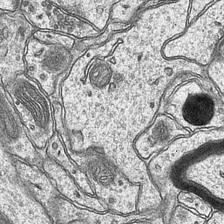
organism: Mouse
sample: CA1 Hippocampus